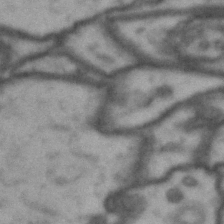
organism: Drosophila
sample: Brain